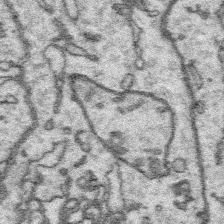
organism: Platynereis dumerilii